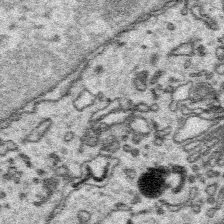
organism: Platynereis dumerilii